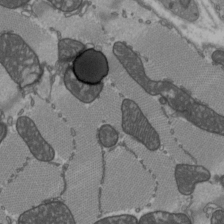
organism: C57BL Mouse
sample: Heart